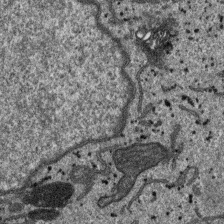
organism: Human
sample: Lung epithelial cells infected with SARS-CoV-2